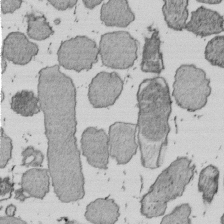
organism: E. coli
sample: Bacterial nucleoid